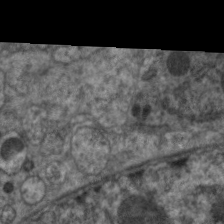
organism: C. elegans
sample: Pharynx